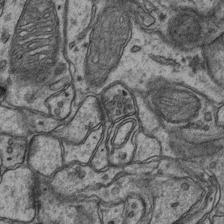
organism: Mouse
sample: CA1 Hippocampus